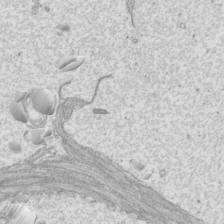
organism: Mouse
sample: Cilia; mouse epididymis